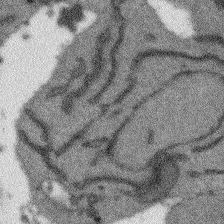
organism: Arabidopsis thaliana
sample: Root tip